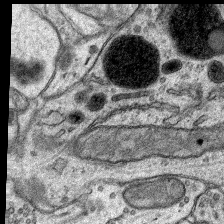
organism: Rat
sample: Hippocampus